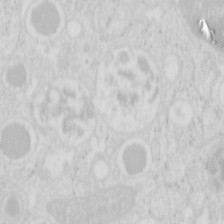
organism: Mouse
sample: Pancreas